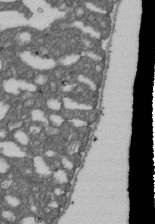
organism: Drosophila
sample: Nephrocyte